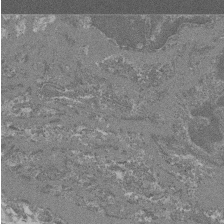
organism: Mouse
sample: Glomerulus